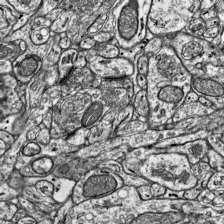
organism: Mouse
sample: Visual Cortex